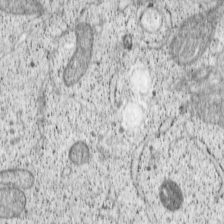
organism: African green monkey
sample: COS-7 cells